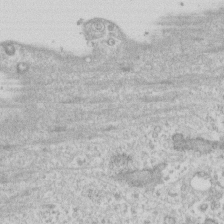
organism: Human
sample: Fibroblast cells